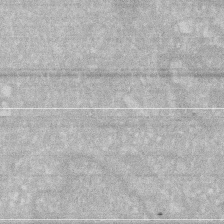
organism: Human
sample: HIV infected U937 cells